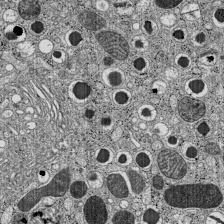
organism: C57BL Mouse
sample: Pancreatic islet